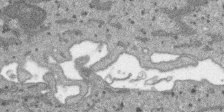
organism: Human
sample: Lung epithelial cells infected with SARS-CoV-2